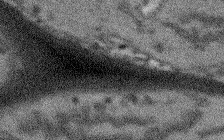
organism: Arabidopsis thaliana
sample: Root tip